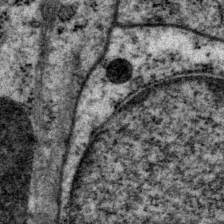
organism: P. pacificus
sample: Pharynx